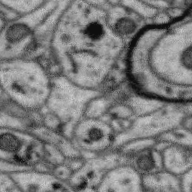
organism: Zebra finch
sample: Brain